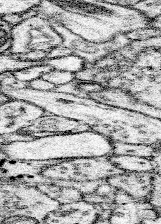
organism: Mouse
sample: Somatosensory cortex neuropil